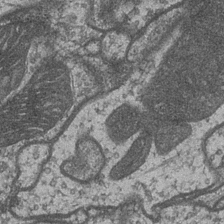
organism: Drosophila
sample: Optic medulla